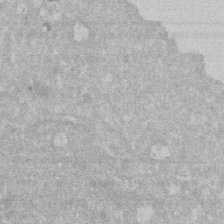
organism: Human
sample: HIV infected U937 cells